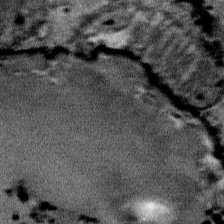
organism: Mouse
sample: Mouse Salivary gland